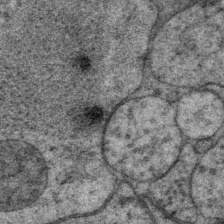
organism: P. pacificus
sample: Pharynx